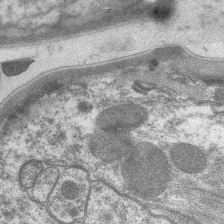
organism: C. elegans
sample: Pharynx